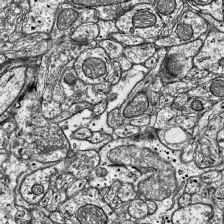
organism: Mouse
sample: Visual Cortex